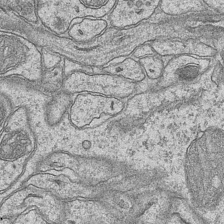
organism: Mouse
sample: CA1 Hippocampus